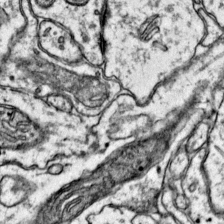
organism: Mouse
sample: Primary visual cortex